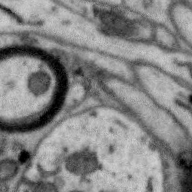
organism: Zebra finch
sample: Brain